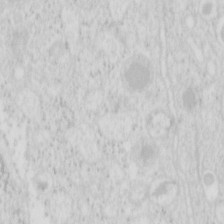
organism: Mouse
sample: Pancreas